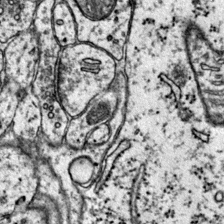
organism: Mouse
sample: Primary visual cortex